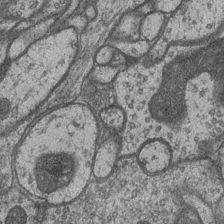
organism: Drosophila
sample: Optic medulla